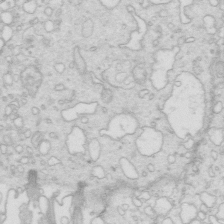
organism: Mouse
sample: Multiciliated cells